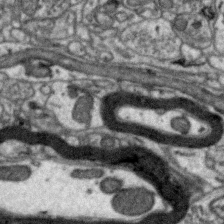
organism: Zebra finch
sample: Brain